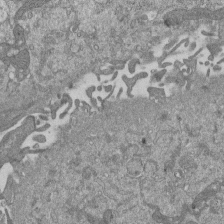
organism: Mouse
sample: ED-1 cell nuclei; centrioles